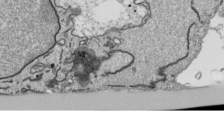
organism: Human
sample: Mitochondria in HCT116 cells